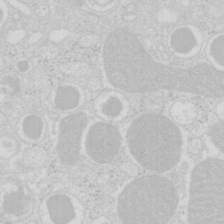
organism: Mouse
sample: Pancreas